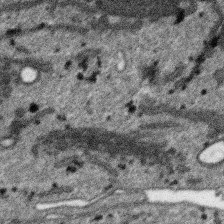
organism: Human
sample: Lung epithelial cells infected with SARS-CoV-2